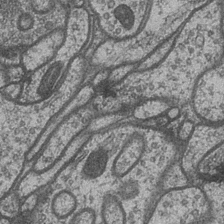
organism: Drosophila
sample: Optic medulla